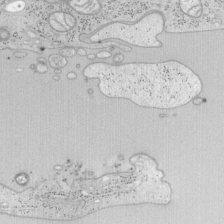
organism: Mouse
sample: OT-I killer T cells with ID8 ovarian cancer cells